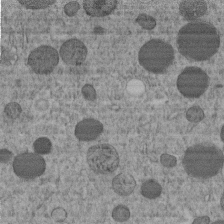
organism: C. elegans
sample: C. elegans embryo early stage